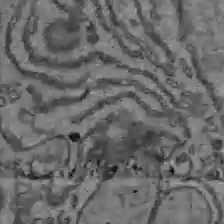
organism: C57BL Mouse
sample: Liver